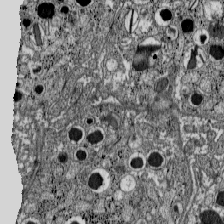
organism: C57BL Mouse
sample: Pancreatic islet